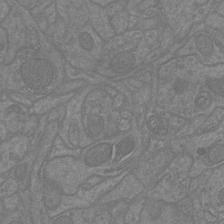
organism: Mouse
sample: Cortical neurons